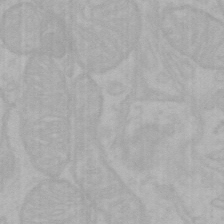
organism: Mouse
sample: Choroid plexus